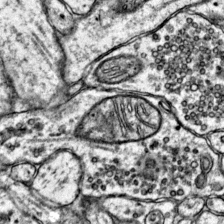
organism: Mouse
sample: Primary visual cortex